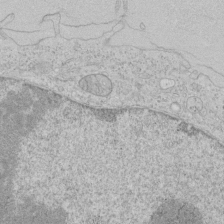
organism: Human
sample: Mitochondria in HCT116 cells